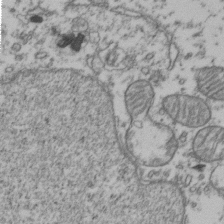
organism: Human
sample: Activated Jurkat CD4+ T cells